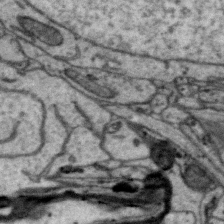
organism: Zebra finch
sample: Brain